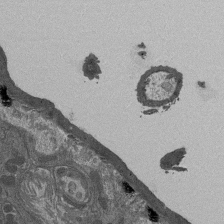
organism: Drosophila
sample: Antenna